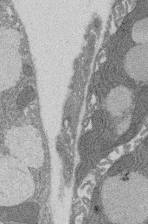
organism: Rat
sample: Salivary granule